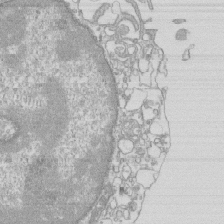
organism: Mouse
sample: Macrophages